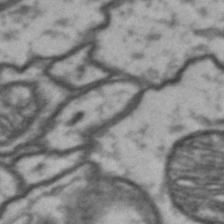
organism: Drosophila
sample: Brain